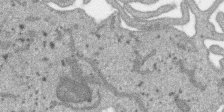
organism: Human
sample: Lung epithelial cells infected with SARS-CoV-2